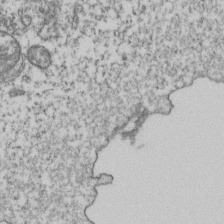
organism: Human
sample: Activated Jurkat CD4+ T cells